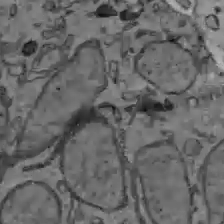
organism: C57BL Mouse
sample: Liver